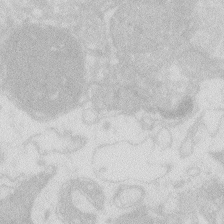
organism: Zebrafish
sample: Macrophage